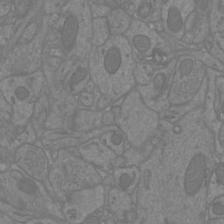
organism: Mouse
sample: Cortical neurons